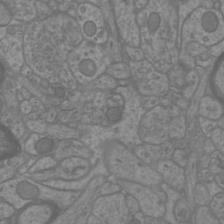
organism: Mouse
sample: Cortical neurons